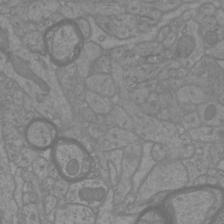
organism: Mouse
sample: Cortical neurons